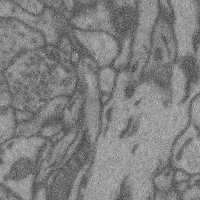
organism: Mouse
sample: Cerebral cortex